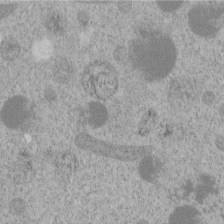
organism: C. elegans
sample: C. elegans embryo early stage